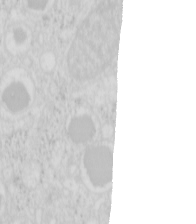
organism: Mouse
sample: Pancreas